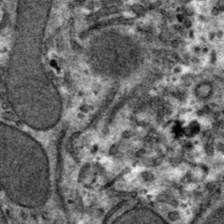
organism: Mouse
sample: Mouse hepatocytes